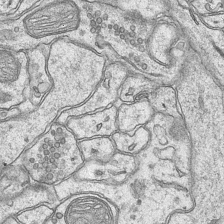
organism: Mouse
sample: CA1 Hippocampus